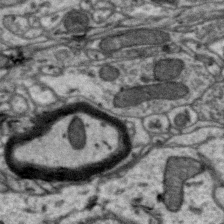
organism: Zebra finch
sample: Brain